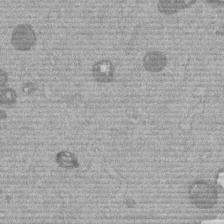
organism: Mouse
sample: Dividing mouse embryo 1 cell stage